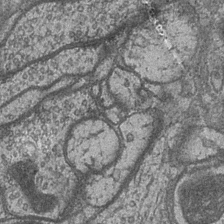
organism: Drosophila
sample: Optic medulla